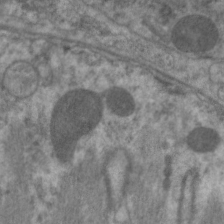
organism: C. elegans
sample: Pharynx